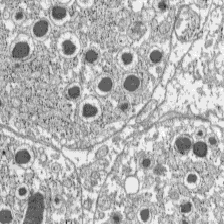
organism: C57BL Mouse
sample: Pancreatic islet